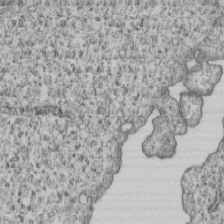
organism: Human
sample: MDA-MB-231 cells